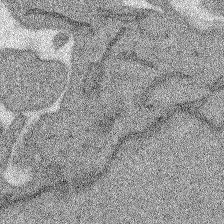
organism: Human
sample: HeLa cells